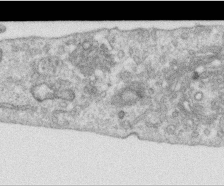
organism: Human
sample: Centriole in RPE cells